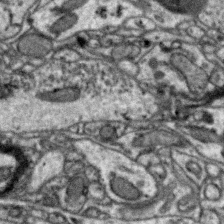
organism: Zebra finch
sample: Brain